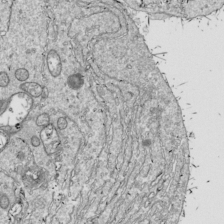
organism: Drosophila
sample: Cell division; meiosis; drosophila spermatocytes